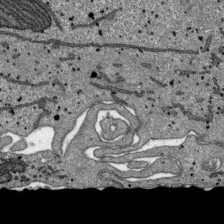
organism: Human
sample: Lung epithelial cells, uninfected (mock) control